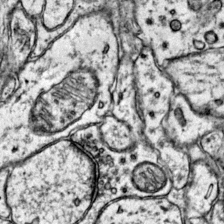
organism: Mouse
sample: Primary visual cortex